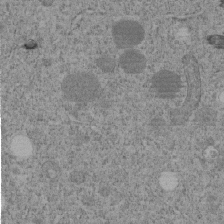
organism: C. elegans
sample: C. elegans embryo early stage